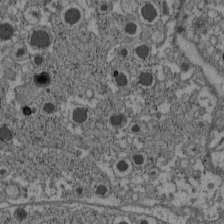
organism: C57BL Mouse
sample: Pancreatic islet